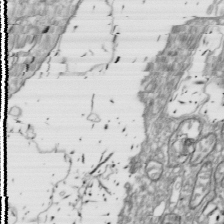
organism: Drosophila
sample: Cell division; meiosis; drosophila spermatocytes